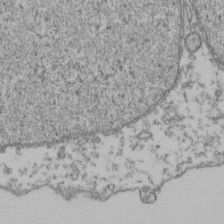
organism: Human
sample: Activated Jurkat CD4+ T cells